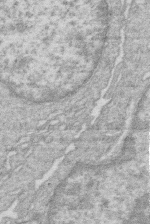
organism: Human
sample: Macrophage cells